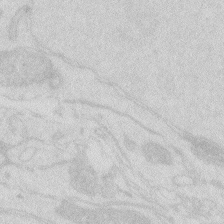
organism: Zebrafish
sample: Macrophage